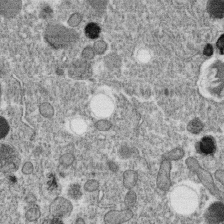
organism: C. elegans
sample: C. elegans oocyte; sperm cells